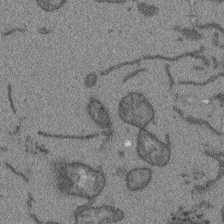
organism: Arabidopsis thaliana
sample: Root tip